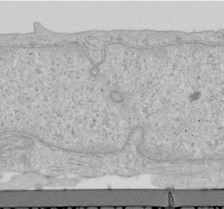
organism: Human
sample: Centriole in RPE cells